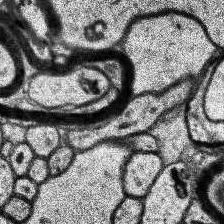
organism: Human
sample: Temporal Lobe